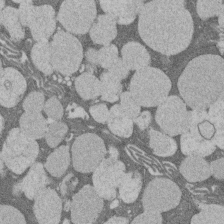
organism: Rat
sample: Salivary granule